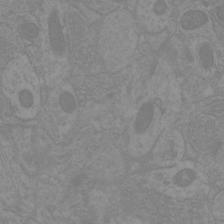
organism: Mouse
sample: Cortical neurons